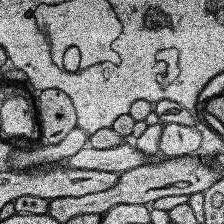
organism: Human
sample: Temporal Lobe